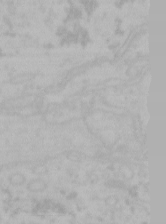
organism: Mouse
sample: Choroid plexus